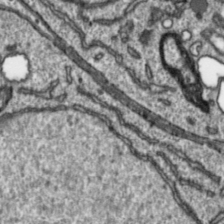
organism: Toxoplasma gondii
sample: Parasites in a vacuole inside a host cell